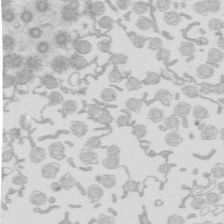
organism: Mouse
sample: Multiciliated cells